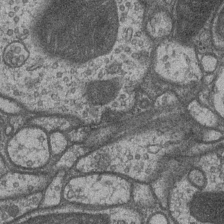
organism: Drosophila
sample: Optic medulla